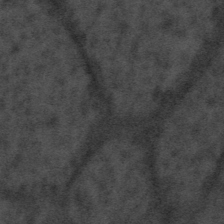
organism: Tuwongella immobilis